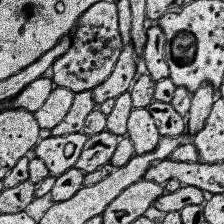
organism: Human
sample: Temporal Lobe